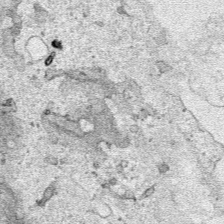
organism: Human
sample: Mitochondria in HCT116 cells